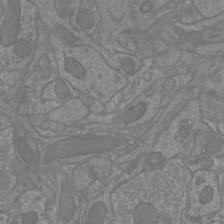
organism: Mouse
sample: Cortical neurons